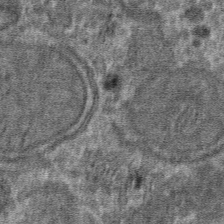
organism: Mouse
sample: Mouse hepatocytes